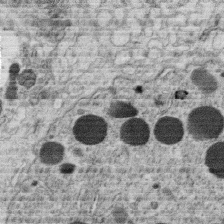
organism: C. elegans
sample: C. elegans oocyte; sperm cells